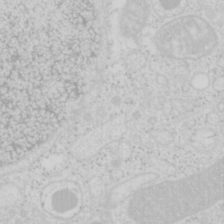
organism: Mouse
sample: Pancreas